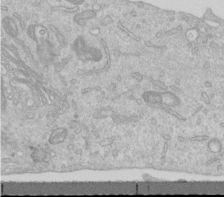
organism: Human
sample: Centriole in RPE cells